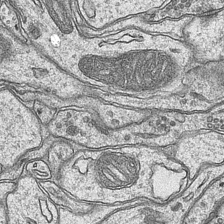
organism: Mouse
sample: CA1 Hippocampus